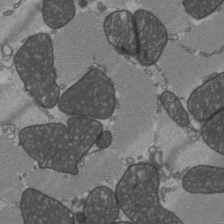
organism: C57BL Mouse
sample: Heart